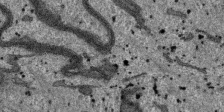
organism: Human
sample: Lung epithelial cells, uninfected (mock) control